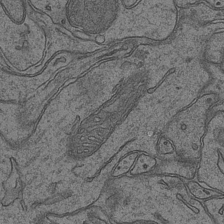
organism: Mouse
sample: CA1 Hippocampus